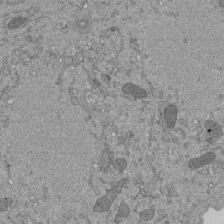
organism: Mouse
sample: ED-1 cell nuclei; centrioles